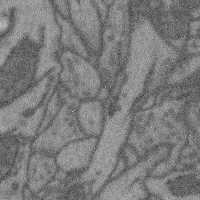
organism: Mouse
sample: Cerebral cortex